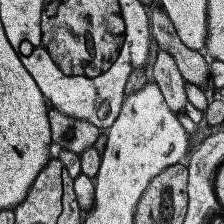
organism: Human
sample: Temporal Lobe